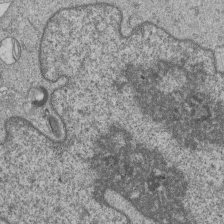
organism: Human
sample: MDA-MB-231 cells